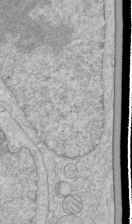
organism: Human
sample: Mitochondria in HCT116 cells